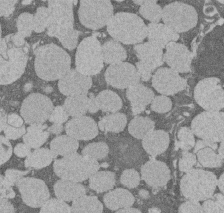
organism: Rat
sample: Salivary granule